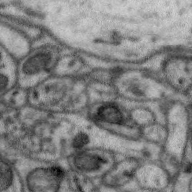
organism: Zebra finch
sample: Brain